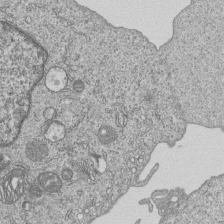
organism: Human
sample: MDA-MB-231 cells